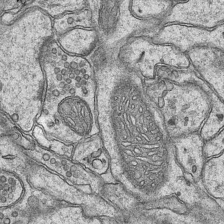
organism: Mouse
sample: CA1 Hippocampus